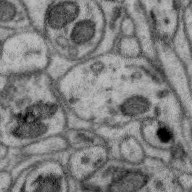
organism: Zebra finch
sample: Brain